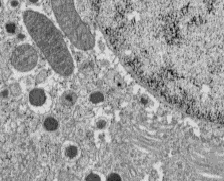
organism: C57BL Mouse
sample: Pancreatic islet